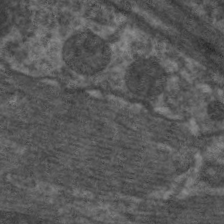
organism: C. elegans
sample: Pharynx